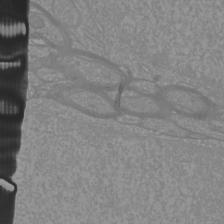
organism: Mouse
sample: Cortical neurons